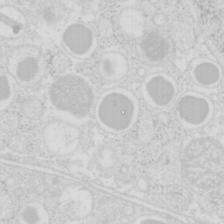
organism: Mouse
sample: Pancreas